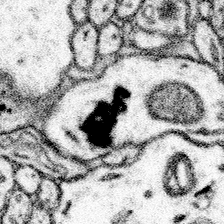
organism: Mouse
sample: Somatosensory cortex neuropil